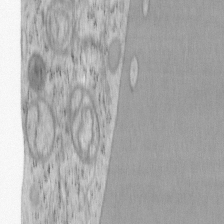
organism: Human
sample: HeLa cells